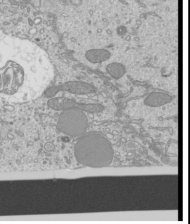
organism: Mouse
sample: Cilia; mouse epididymis